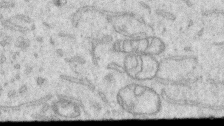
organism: Human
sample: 1205lu cells